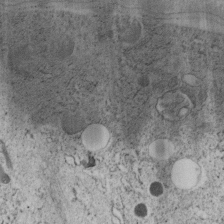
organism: C. elegans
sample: C. elegans embryo early stage